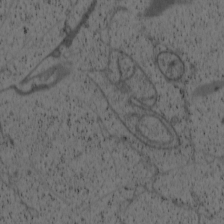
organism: African green monkey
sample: COS-7 cells